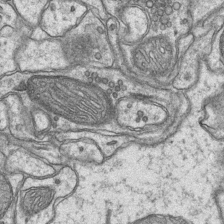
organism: Mouse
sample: CA1 Hippocampus